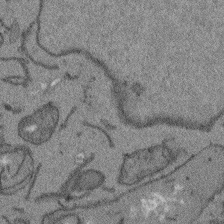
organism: Arabidopsis thaliana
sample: Root tip